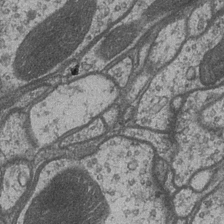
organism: Drosophila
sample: Optic medulla